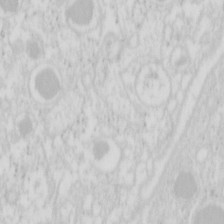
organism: Mouse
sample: Pancreas